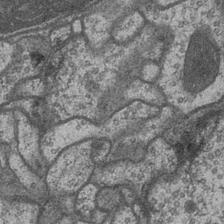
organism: Drosophila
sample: Optic medulla